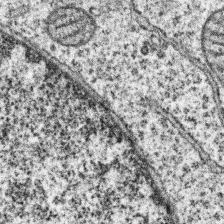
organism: Human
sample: HeLa cells